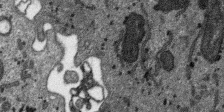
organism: Human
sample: Lung epithelial cells infected with SARS-CoV-2